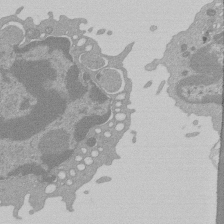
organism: Mouse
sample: Activated Pmel transgenic CD8+ T Cells